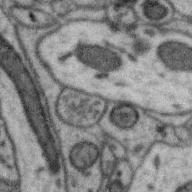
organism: Zebra finch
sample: Brain